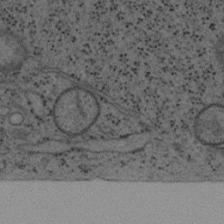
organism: Human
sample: HeLa cells